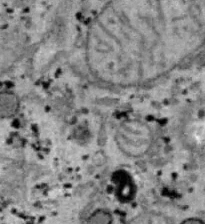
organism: Mouse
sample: Liver from an obese (ob/ob) mouse